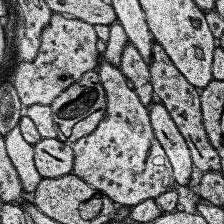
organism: Human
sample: Temporal Lobe